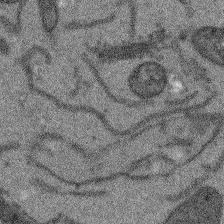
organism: Arabidopsis thaliana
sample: Root tip